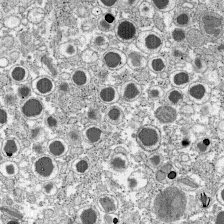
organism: C57BL Mouse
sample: Pancreatic islet